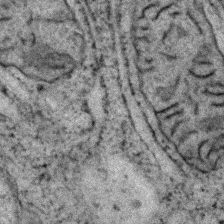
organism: Zebrafish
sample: Zebrafish embryo